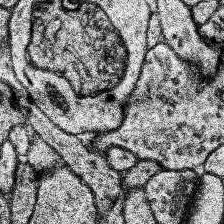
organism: Human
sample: Temporal Lobe